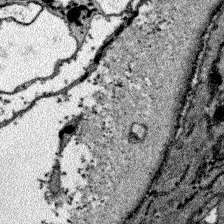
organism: Zebrafish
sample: Larval olfactory bulb